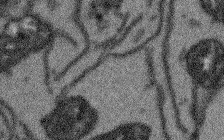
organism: Arabidopsis thaliana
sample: Root tip